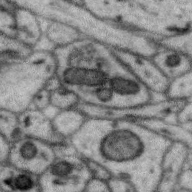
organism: Zebra finch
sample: Brain